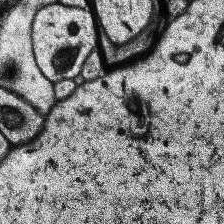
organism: Human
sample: Temporal Lobe